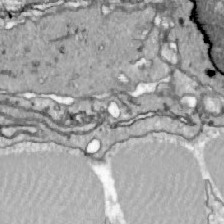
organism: Zebrafish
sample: Actinotrichia fibers